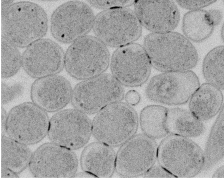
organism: E. coli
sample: Bacterial nucleoid